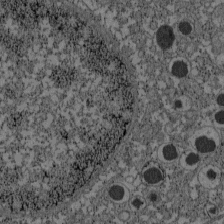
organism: C57BL Mouse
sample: Pancreatic islet